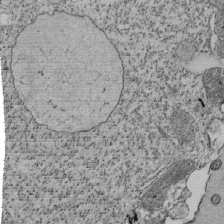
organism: Tetrahymena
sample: Cilia in tetrahymena